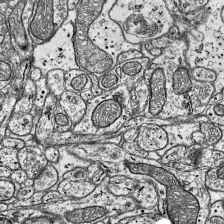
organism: Mouse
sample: Visual Cortex